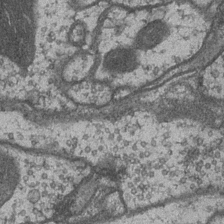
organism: Drosophila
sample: Optic medulla